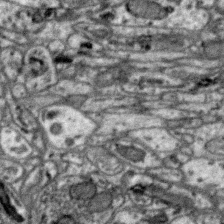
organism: Zebra finch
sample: Brain